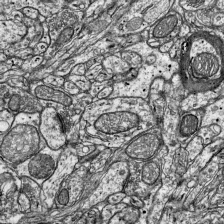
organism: Mouse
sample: Visual Cortex